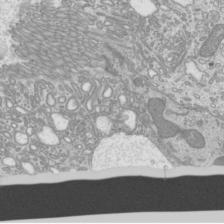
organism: Mouse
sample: Cilia; mouse epididymis